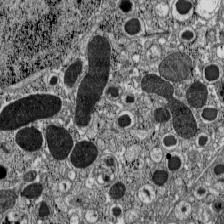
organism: C57BL Mouse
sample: Pancreatic islet